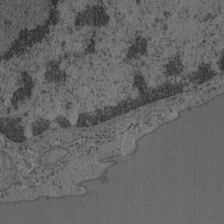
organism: Mouse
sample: OT-I killer T cells with ID8 ovarian cancer cells